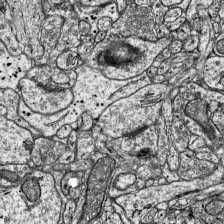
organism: Mouse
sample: Visual Cortex